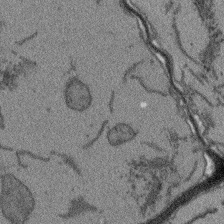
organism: Arabidopsis thaliana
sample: Root tip